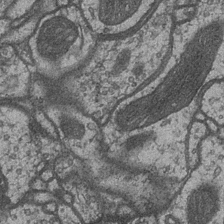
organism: Drosophila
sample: Optic medulla